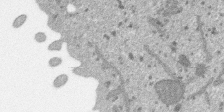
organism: Human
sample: Lung epithelial cells infected with SARS-CoV-2